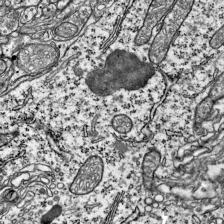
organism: Mouse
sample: Visual Cortex